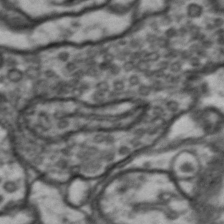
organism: Drosophila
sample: Brain